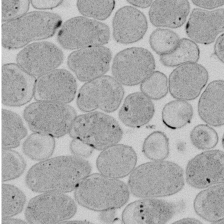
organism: E. coli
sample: Bacterial nucleoid